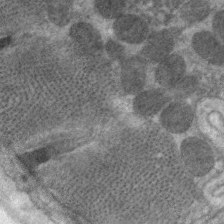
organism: C. elegans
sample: Pharynx